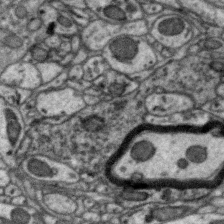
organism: Zebra finch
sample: Brain